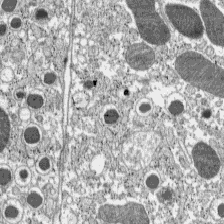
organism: C57BL Mouse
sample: Pancreatic islet